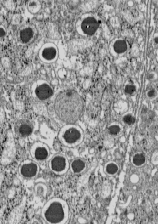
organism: C57BL Mouse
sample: Pancreatic islet